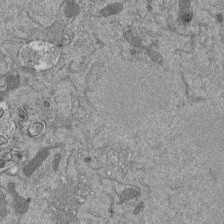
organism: Mouse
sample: ED-1 cell nuclei; centrioles